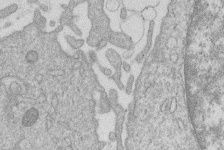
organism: Human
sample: Macrophage cells